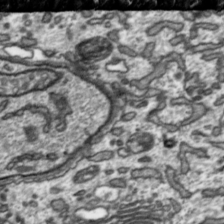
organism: Toxoplasma gondii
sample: Parasites in a vacuole inside a host cell